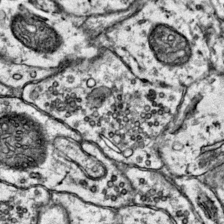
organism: Mouse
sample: Primary visual cortex